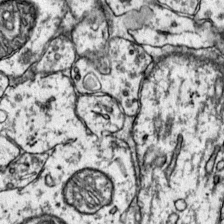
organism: Mouse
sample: Primary visual cortex